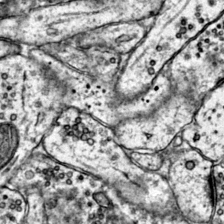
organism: Mouse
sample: Primary visual cortex